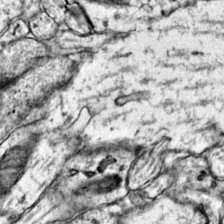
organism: Mouse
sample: Primary visual cortex